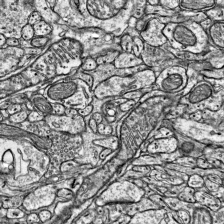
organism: Mouse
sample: Visual Cortex